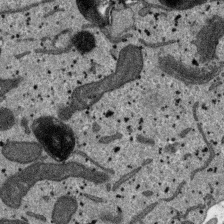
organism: Human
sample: Lung epithelial cells, uninfected (mock) control